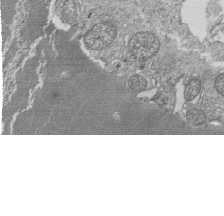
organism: Tetrahymena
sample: Cilia in tetrahymena